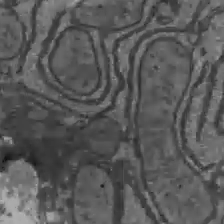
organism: C57BL Mouse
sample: Liver